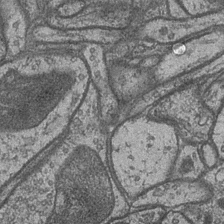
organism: Drosophila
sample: Optic medulla